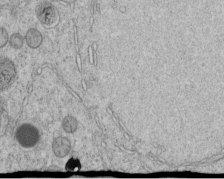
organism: C. elegans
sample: C. elegans embryo early stage